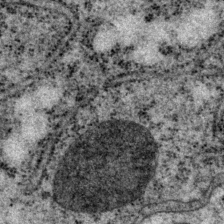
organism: P. pacificus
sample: Pharynx